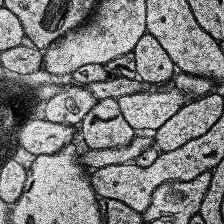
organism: Human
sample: Temporal Lobe